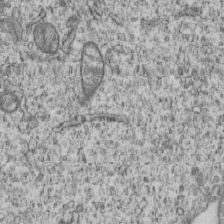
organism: Human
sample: MDA-MB-231 cells